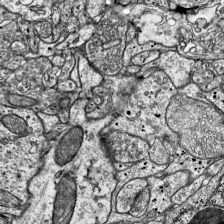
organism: Mouse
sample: Visual Cortex